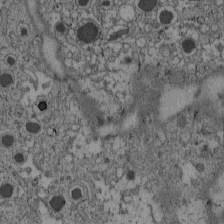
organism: C57BL Mouse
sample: Pancreatic islet